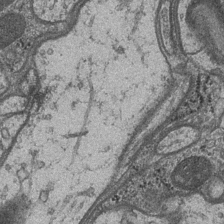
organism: Drosophila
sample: Optic medulla